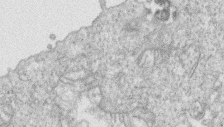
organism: Human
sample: HeLa cell HIV synapse